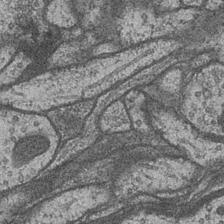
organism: Drosophila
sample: Optic medulla